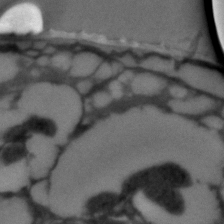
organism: C. elegans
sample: C. elegans embryo